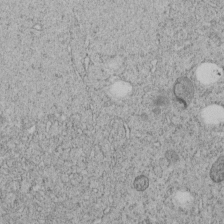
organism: C. elegans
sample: C. elegans embryo early stage